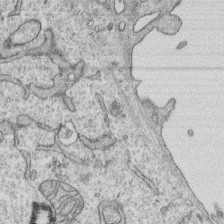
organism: Human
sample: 1205lu cells